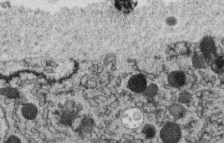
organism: C. elegans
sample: C. elegans oocyte; sperm cells